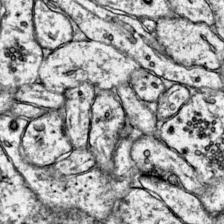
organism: Mouse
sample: Primary visual cortex